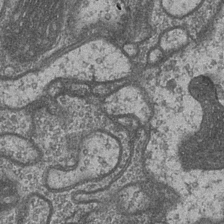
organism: Drosophila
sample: Optic medulla